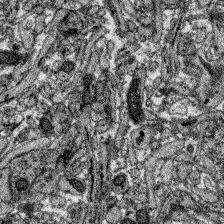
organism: Zebrafish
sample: Larval olfactory bulb